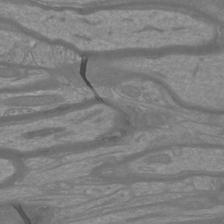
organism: Mouse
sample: Cortical neurons